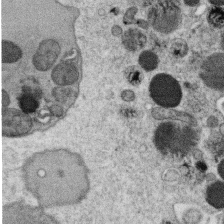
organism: C. elegans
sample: C. elegans oocyte; sperm cells